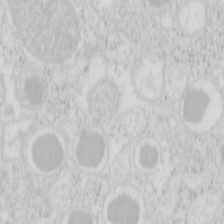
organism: Mouse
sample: Pancreas